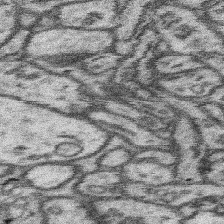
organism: Mouse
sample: Somatosensory cortex neuropil